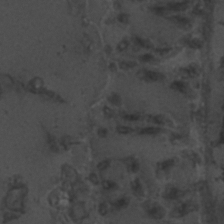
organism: C. elegans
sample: C. elegans embryo